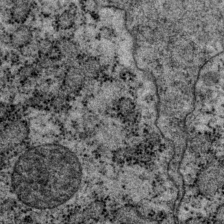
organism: P. pacificus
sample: Pharynx